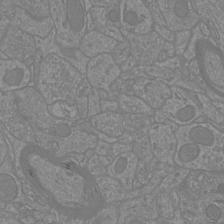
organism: Mouse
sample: Cortical neurons